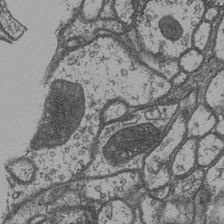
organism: Drosophila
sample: Optic medulla